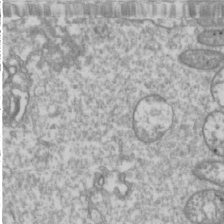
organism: Drosophila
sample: Cell division; meiosis; drosophila spermatocytes